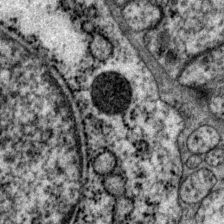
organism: P. pacificus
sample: Pharynx